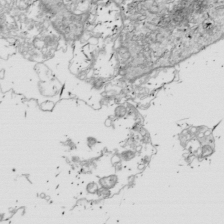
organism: Drosophila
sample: Cell division; meiosis; drosophila spermatocytes